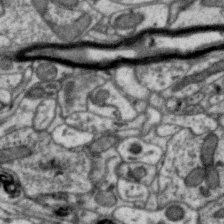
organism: Zebra finch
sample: Brain